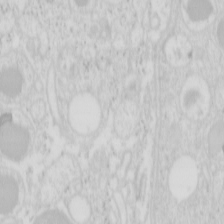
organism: Mouse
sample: Pancreas